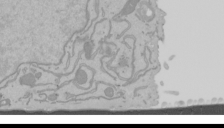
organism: Mouse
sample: Cancer cell death in ED-1 cells